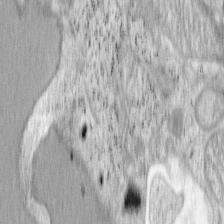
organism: Human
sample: HeLa cells